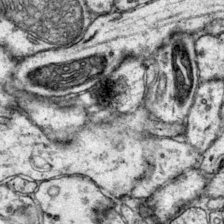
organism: Mouse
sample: Primary visual cortex